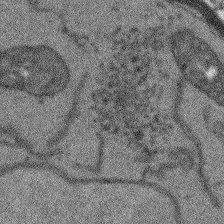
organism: Arabidopsis thaliana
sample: Root tip